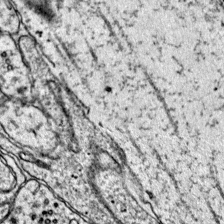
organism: Mouse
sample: Primary visual cortex